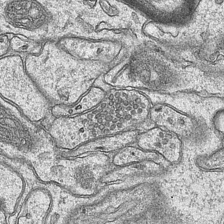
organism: Mouse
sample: CA1 Hippocampus